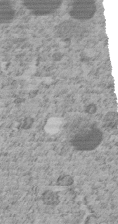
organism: C. elegans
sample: C. elegans embryo early stage